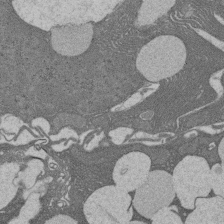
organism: Rat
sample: Salivary granule